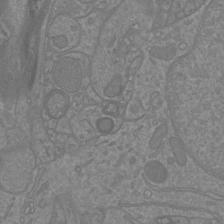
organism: Mouse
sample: Cortical neurons